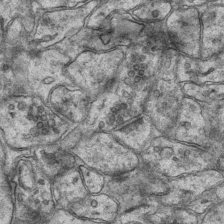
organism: Mouse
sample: CA1 Hippocampus